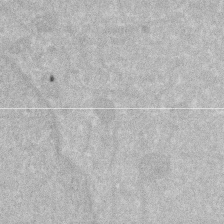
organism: Human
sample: HIV infected U937 cells